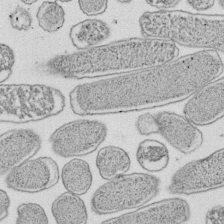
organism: E. coli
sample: Bacterial nucleoid